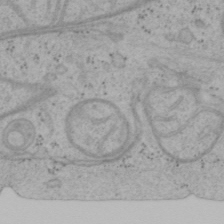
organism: Human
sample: HeLa cells